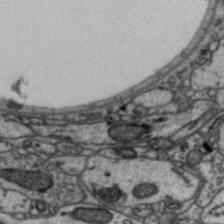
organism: Zebra finch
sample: Brain